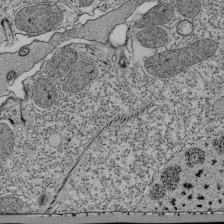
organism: Tetrahymena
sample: Cilia in tetrahymena